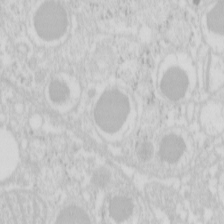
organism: Mouse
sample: Pancreas